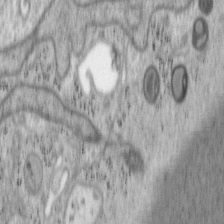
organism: Human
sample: HeLa cells